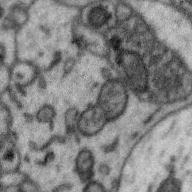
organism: Zebra finch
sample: Brain